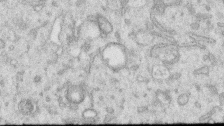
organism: Human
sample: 1205lu cells